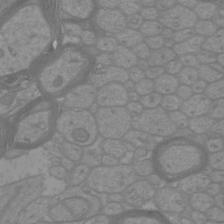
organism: Mouse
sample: Cortical neurons